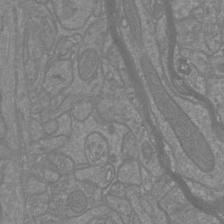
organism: Mouse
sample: Cortical neurons